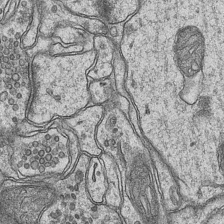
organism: Mouse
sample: CA1 Hippocampus